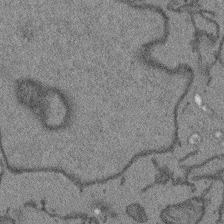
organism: Arabidopsis thaliana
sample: Root tip